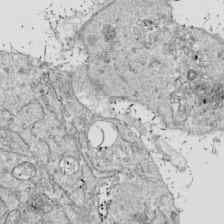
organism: Drosophila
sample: Cell division; meiosis; drosophila spermatocytes